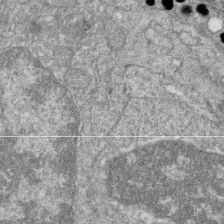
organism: Zebrafish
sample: Cilia; retinal pigment epithelium